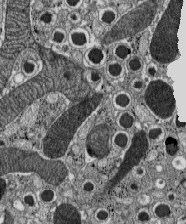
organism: C57BL Mouse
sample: Pancreatic islet